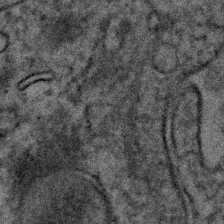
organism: Human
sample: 1205lu cells